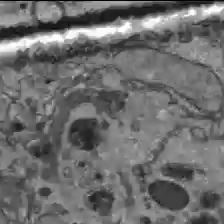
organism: C57BL Mouse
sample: Liver